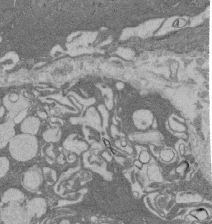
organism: Rat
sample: Salivary granule